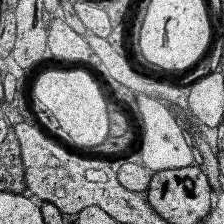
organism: Human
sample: Temporal Lobe